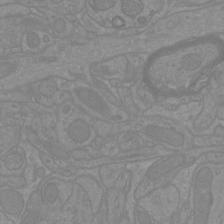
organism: Mouse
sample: Cortical neurons